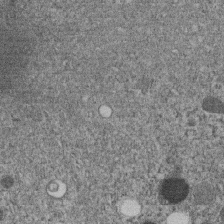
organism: C. elegans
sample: C. elegans embryo early stage